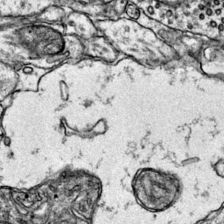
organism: Mouse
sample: Primary visual cortex